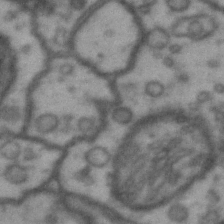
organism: Drosophila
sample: Brain